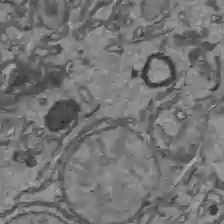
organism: C57BL Mouse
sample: Liver